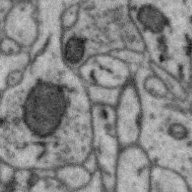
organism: Zebra finch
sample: Brain